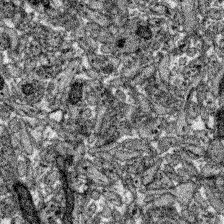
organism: Zebrafish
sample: Larval olfactory bulb